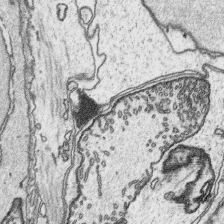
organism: Platynereis dumerilii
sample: Parapodia